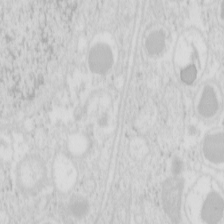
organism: Mouse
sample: Pancreas